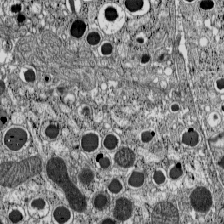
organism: C57BL Mouse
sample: Pancreatic islet